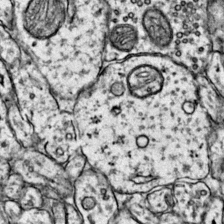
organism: Mouse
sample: Primary visual cortex